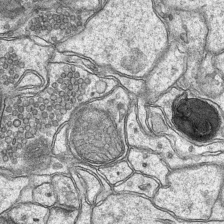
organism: Mouse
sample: CA1 Hippocampus